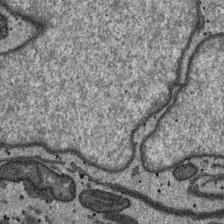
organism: Human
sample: Lung epithelial cells, uninfected (mock) control